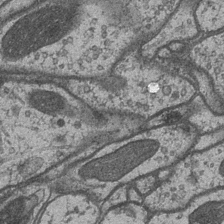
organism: Drosophila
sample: Optic medulla